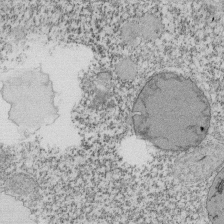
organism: Tetrahymena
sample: Cilia in tetrahymena